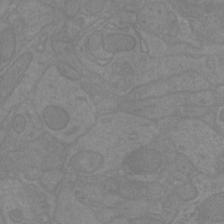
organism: Mouse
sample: Cortical neurons